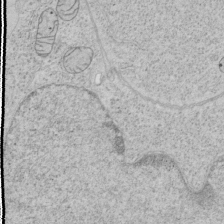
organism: Human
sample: Mitochondria in HCT116 cells